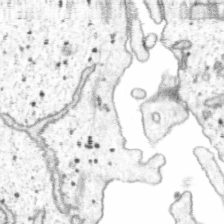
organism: Human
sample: HeLa cells